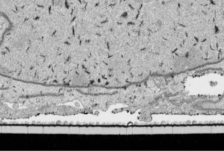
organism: Human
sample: Mitochondria in HCT116 cells